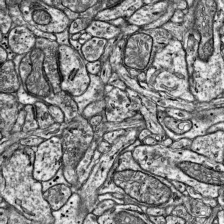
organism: Mouse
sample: Visual Cortex